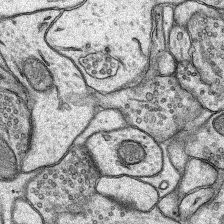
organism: Rat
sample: Hippocampus